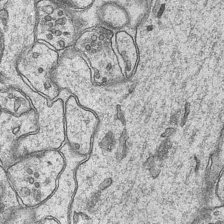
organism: Mouse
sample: CA1 Hippocampus